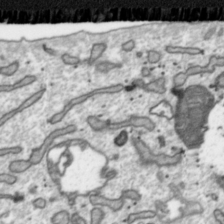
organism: Toxoplasma gondii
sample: Parasites in a vacuole inside a host cell